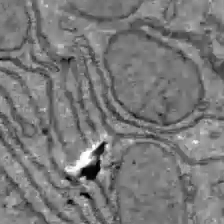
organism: C57BL Mouse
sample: Liver